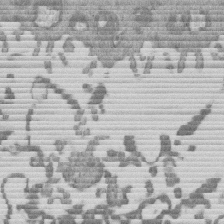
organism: Mouse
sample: Dividing mouse embryo 1 cell stage